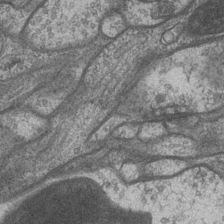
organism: Drosophila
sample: Optic medulla